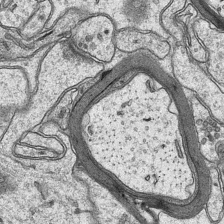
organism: Mouse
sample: CA1 Hippocampus